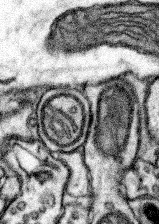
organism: Mouse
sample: Somatosensory cortex neuropil